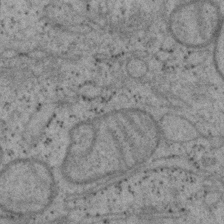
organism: Human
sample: HeLa cells